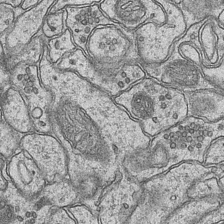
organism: Mouse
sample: CA1 Hippocampus